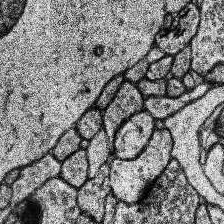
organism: Human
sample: Temporal Lobe